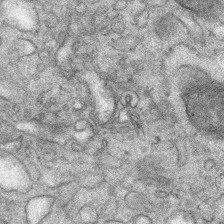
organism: Mouse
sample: Mouse Salivary gland